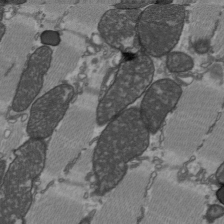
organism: C57BL Mouse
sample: Heart